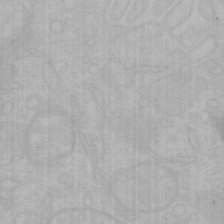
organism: Mouse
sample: Choroid plexus